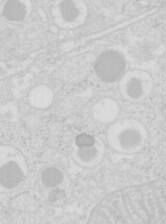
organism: Mouse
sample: Pancreas